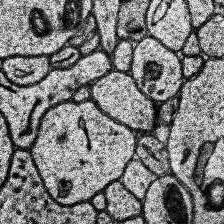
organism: Human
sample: Temporal Lobe